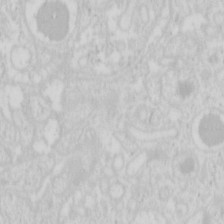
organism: Mouse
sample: Pancreas